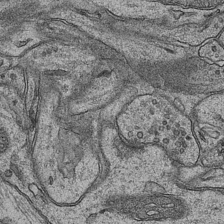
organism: Mouse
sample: CA1 Hippocampus